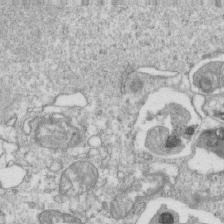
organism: Mouse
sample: Activated OT-1 CD8+ T cells